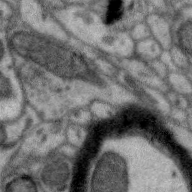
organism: Zebra finch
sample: Brain